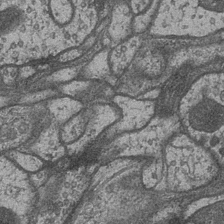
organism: Drosophila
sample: Optic medulla